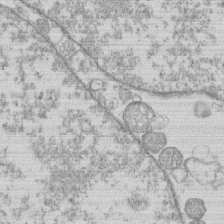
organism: Human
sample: Macrophage cells